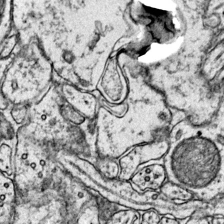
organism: Mouse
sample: Primary visual cortex